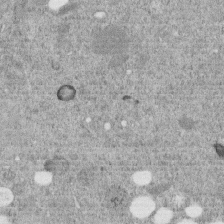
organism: C. elegans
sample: C. elegans embryo early stage